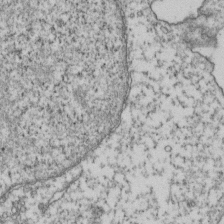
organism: Human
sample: Activated Jurkat CD4+ T cells